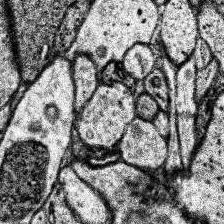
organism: Human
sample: Temporal Lobe